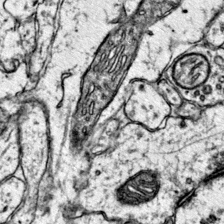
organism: Mouse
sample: Primary visual cortex